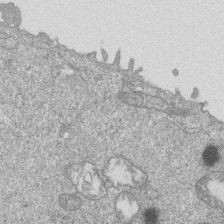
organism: Human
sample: HeLa cell HIV synapse